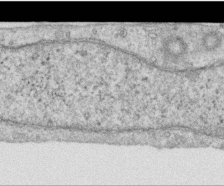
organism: Human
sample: Centriole in RPE cells